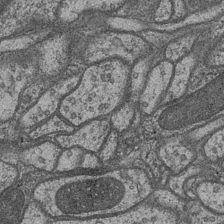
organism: Drosophila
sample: Optic medulla